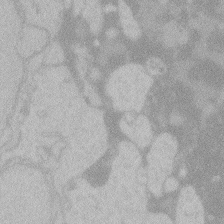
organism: Zebrafish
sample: Macrophage infected with Toxoplasma gondii